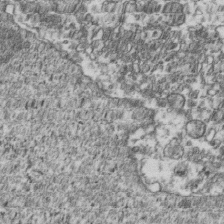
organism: Human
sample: Activated Jurkat CD4+ T cells